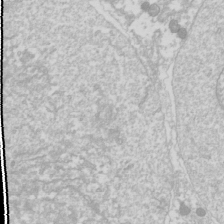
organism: Drosophila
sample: Cell division; meiosis; drosophila spermatocytes